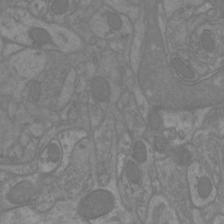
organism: Mouse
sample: Cortical neurons